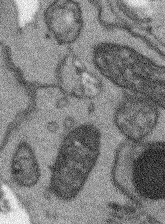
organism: Arabidopsis thaliana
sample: Root tip